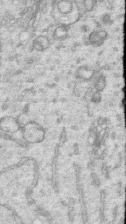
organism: Human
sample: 1205lu cells